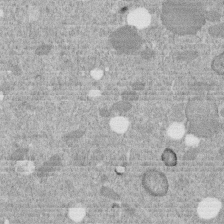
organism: C. elegans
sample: C. elegans embryo early stage